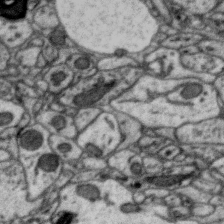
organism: Zebra finch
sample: Brain